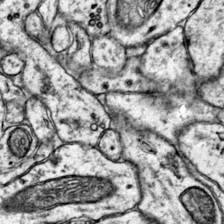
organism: Mouse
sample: Primary visual cortex